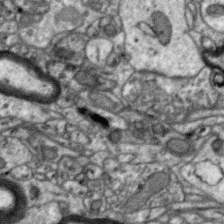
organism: Zebra finch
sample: Brain